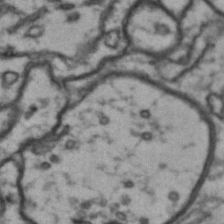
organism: Drosophila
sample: Brain